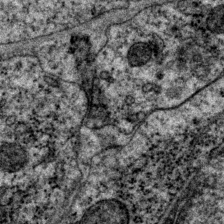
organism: P. pacificus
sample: Pharynx